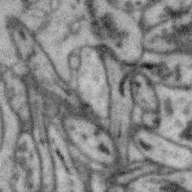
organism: Zebra finch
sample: Brain